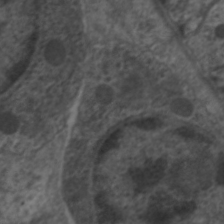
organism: C. elegans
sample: Pharynx